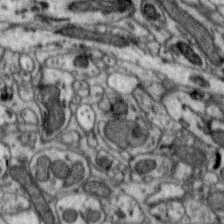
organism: Zebra finch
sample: Brain